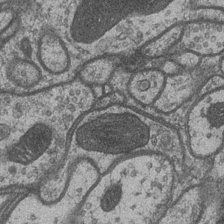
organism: Drosophila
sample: Optic medulla